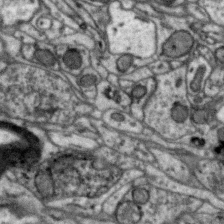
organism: Zebra finch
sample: Brain